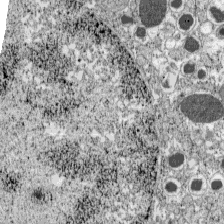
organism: C57BL Mouse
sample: Pancreatic islet